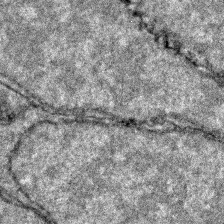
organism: Zebrafish